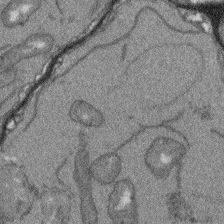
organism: Arabidopsis thaliana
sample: Root tip